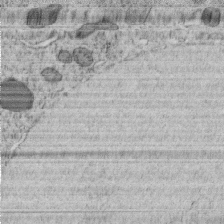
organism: C. elegans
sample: C. elegans embryo early stage